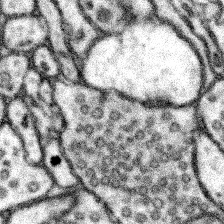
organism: Mouse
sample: Somatosensory cortex neuropil